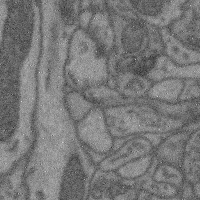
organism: Mouse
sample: Cerebral cortex